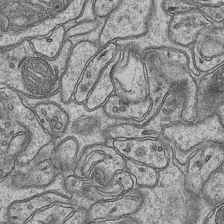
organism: Mouse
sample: CA1 Hippocampus